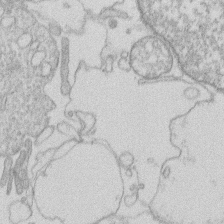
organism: Human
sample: Macrophage cells